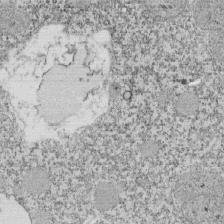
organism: Tetrahymena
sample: Cilia in tetrahymena